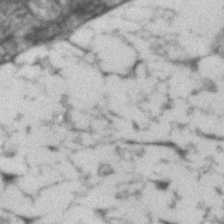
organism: Human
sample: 1205lu cells